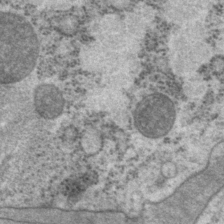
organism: P. pacificus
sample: Pharynx